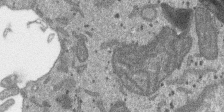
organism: Human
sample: Lung epithelial cells infected with SARS-CoV-2